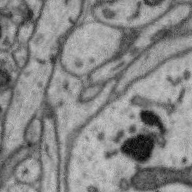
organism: Zebra finch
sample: Brain